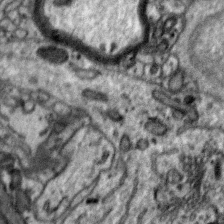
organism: Zebra finch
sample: Brain